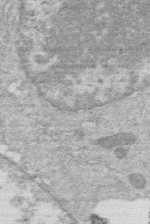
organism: Human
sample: Macrophage cells